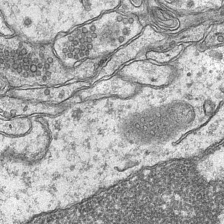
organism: Mouse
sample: CA1 Hippocampus